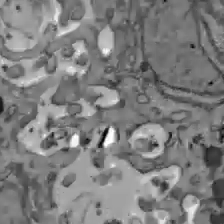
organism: C57BL Mouse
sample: Liver